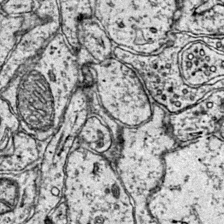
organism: Mouse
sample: Primary visual cortex